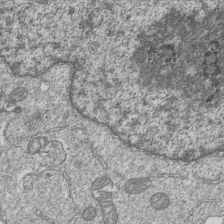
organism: Human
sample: MDA-MB-231 cells